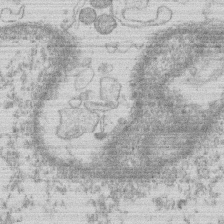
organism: Human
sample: Macrophage cells